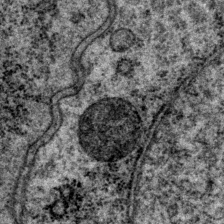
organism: P. pacificus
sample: Pharynx